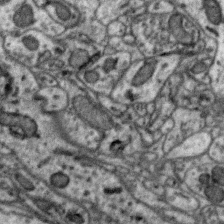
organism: Zebra finch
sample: Brain